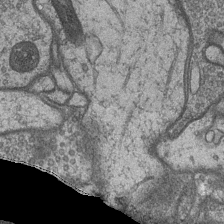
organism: Drosophila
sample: Optic medulla